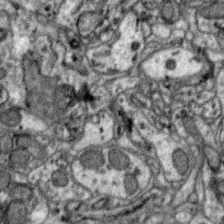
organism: Zebra finch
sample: Brain